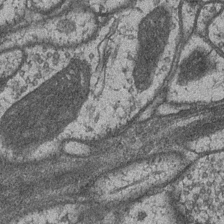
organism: Drosophila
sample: Optic medulla